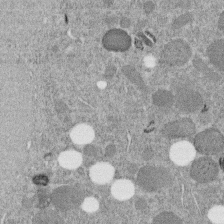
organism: C. elegans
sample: C. elegans embryo early stage